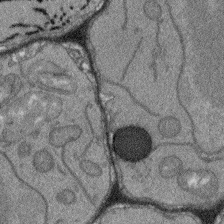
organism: Arabidopsis thaliana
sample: Root tip